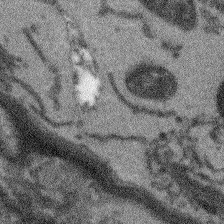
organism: Arabidopsis thaliana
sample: Root tip